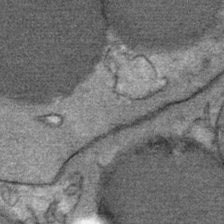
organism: Mouse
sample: Mouse Salivary gland